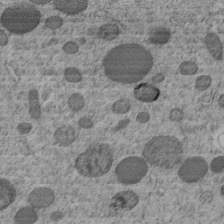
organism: C. elegans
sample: C. elegans embryo early stage